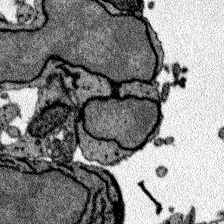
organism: Zebrafish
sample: Larval olfactory bulb